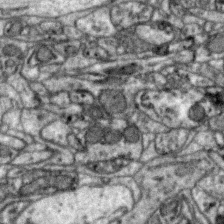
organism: Zebra finch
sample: Brain